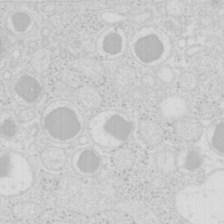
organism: Mouse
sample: Pancreas